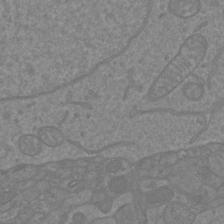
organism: Mouse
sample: Cortical neurons